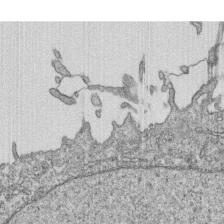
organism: Human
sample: HeLa cell HIV synapse